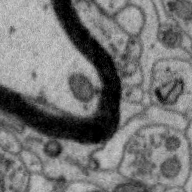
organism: Zebra finch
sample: Brain